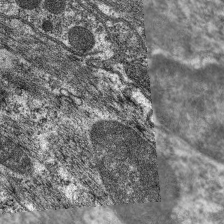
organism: C. elegans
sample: Pharynx